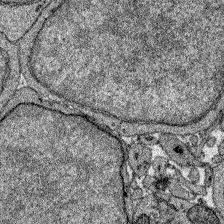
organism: Zebrafish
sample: Larval olfactory bulb